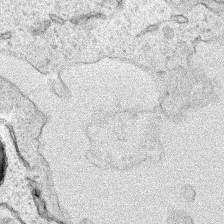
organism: Human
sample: Mitochondria in HCT116 cells